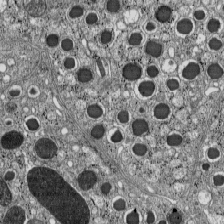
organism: C57BL Mouse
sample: Pancreatic islet